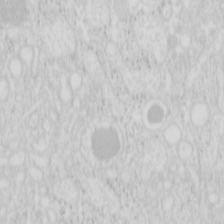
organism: Mouse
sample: Pancreas